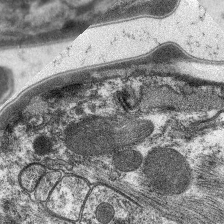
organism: C. elegans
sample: Pharynx